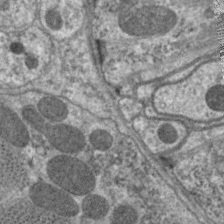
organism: C. elegans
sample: Pharynx